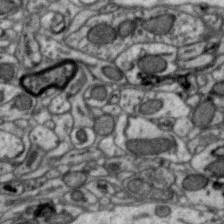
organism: Zebra finch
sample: Brain